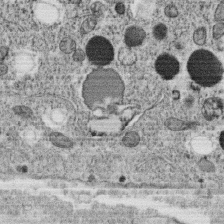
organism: C. elegans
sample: C. elegans oocyte; sperm cells